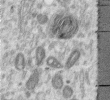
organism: Human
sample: Centriole in RPE cells